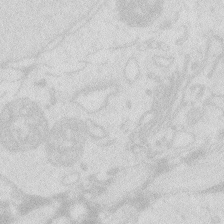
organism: Zebrafish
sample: Macrophage